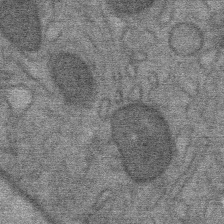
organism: Mouse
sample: Mouse Salivary gland